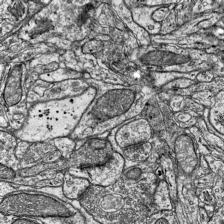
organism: Mouse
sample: Visual Cortex